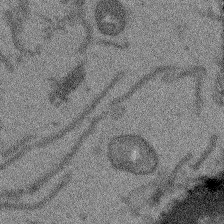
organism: Arabidopsis thaliana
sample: Root tip